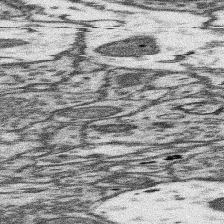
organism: Mouse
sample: Somatosensory cortex neuropil